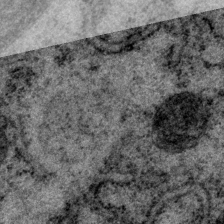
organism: P. pacificus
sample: Pharynx